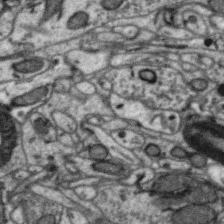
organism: Zebra finch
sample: Brain